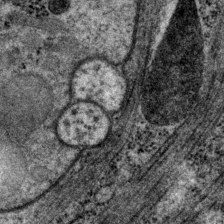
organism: P. pacificus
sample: Pharynx